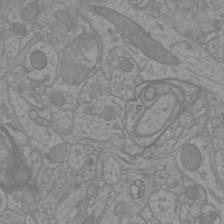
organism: Mouse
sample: Cortical neurons